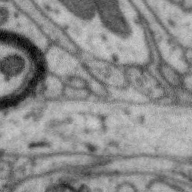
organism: Zebra finch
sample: Brain